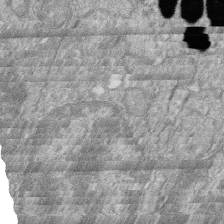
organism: Zebrafish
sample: Cilia; retinal pigment epithelium